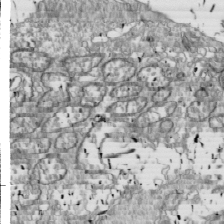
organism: Drosophila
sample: Cell division; meiosis; drosophila spermatocytes